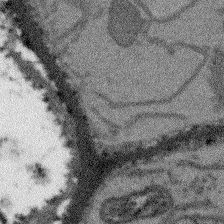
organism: Arabidopsis thaliana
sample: Root tip